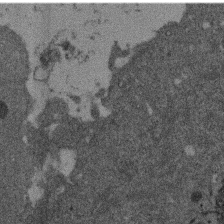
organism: Mouse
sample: Dividing mouse embryo 1 cell stage